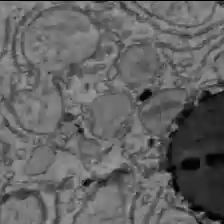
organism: C57BL Mouse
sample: Liver